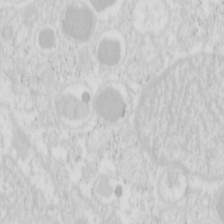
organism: Mouse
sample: Pancreas